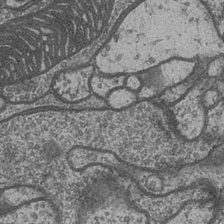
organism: Drosophila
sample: Optic medulla